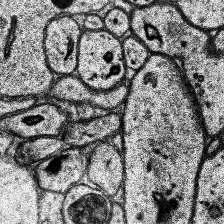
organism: Human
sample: Temporal Lobe